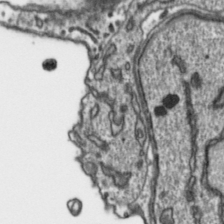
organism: Toxoplasma gondii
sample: Parasites in a vacuole inside a host cell